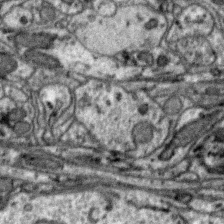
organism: Zebra finch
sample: Brain